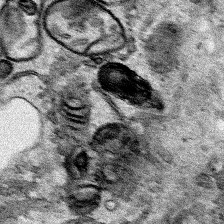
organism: Human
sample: Mitochondria in HCT116 cells